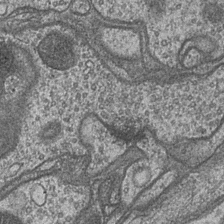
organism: Drosophila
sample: Optic medulla